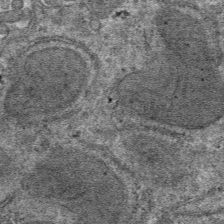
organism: Mouse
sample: Mouse hepatocytes